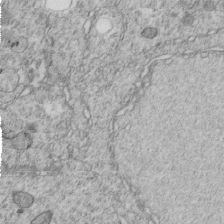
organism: C. elegans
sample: C. elegans embryo early stage